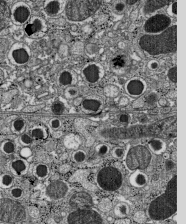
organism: C57BL Mouse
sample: Pancreatic islet